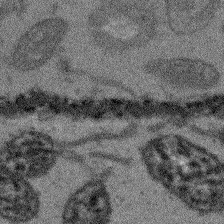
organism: Arabidopsis thaliana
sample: Root tip